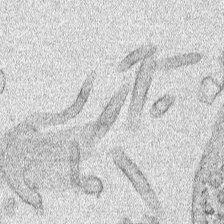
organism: Human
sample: Mitochondria in HCT116 cells